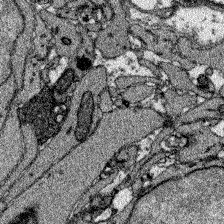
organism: Zebrafish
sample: Larval olfactory bulb